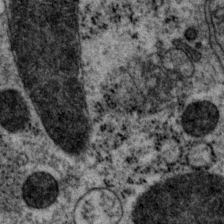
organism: P. pacificus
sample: Pharynx